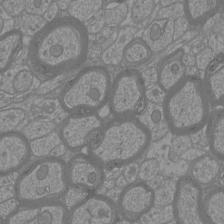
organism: Mouse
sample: Cortical neurons